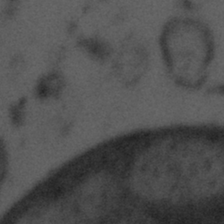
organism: Tuwongella immobilis